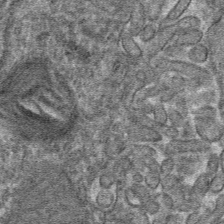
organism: Mouse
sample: Mouse hepatocytes